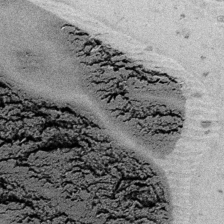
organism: Embia sp.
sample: Silk gland